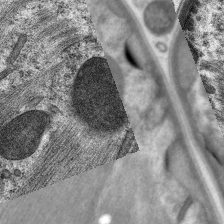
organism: C. elegans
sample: Pharynx